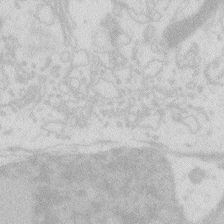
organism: Zebrafish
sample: Macrophage